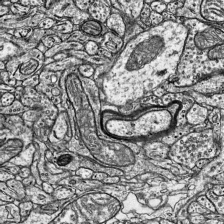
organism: Mouse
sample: Visual Cortex